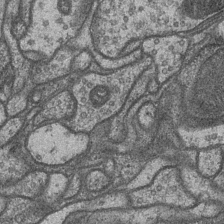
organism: Drosophila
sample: Optic medulla